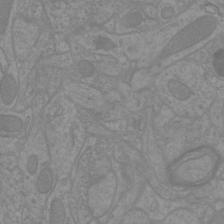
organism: Mouse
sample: Cortical neurons